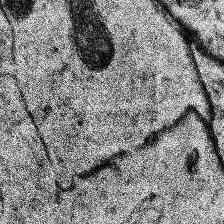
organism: Human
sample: Temporal Lobe